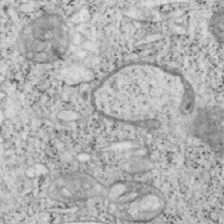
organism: Mouse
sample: OT-I killer T cells with ID8 ovarian cancer cells